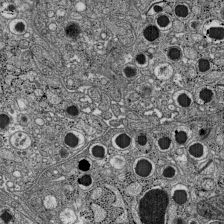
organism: C57BL Mouse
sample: Pancreatic islet